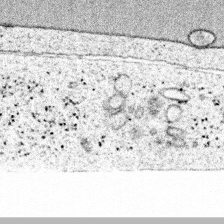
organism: Human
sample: HeLa cells